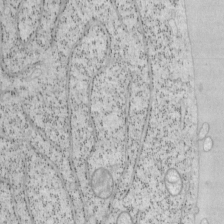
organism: Mouse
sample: OT-I killer T cells with ID8 ovarian cancer cells